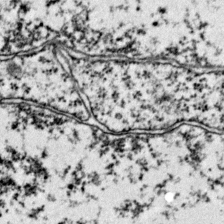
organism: Mouse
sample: Primary visual cortex